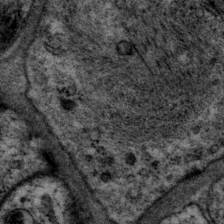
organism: P. pacificus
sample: Pharynx